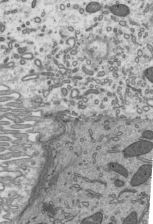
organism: Mouse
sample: Mouse epididymis efferent ductule cilia